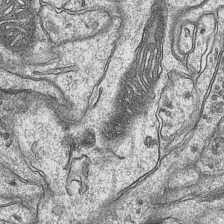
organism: Mouse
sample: CA1 Hippocampus